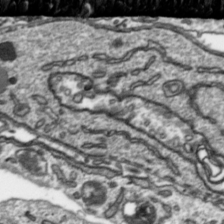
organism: Toxoplasma gondii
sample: Parasites in a vacuole inside a host cell